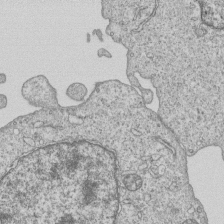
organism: Human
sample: MDA-MB-231 cells